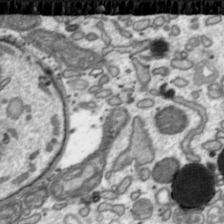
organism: Toxoplasma gondii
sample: Parasites in a vacuole inside a host cell